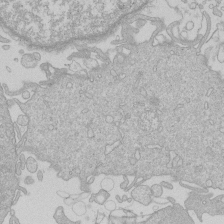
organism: Human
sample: Macrophage cells